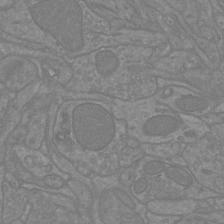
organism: Mouse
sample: Cortical neurons